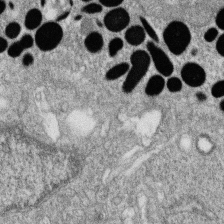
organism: Zebrafish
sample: Cilia; retinal pigment epithelium